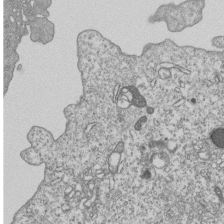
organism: Human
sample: MDA-MB-231 cells